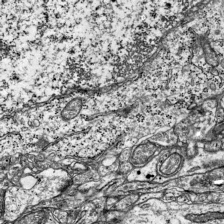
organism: Mouse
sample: Visual Cortex